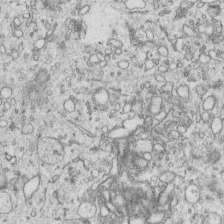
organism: Human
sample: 1205lu cells